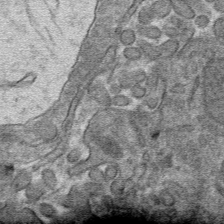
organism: Mouse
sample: Mouse hepatocytes